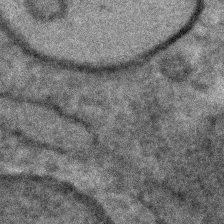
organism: C. elegans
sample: C. elegans embryo